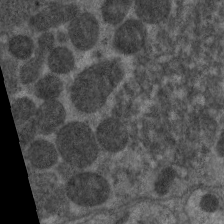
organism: C. elegans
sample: Pharynx